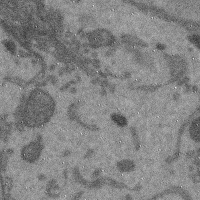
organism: Mouse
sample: Cerebral cortex